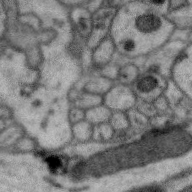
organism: Zebra finch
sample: Brain